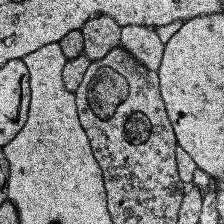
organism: Human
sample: Temporal Lobe